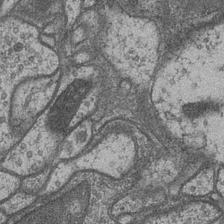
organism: Drosophila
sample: Optic medulla